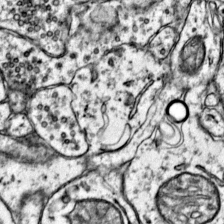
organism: Mouse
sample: Primary visual cortex